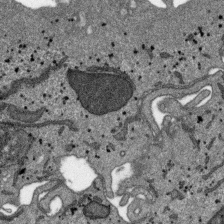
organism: Human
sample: Lung epithelial cells, uninfected (mock) control